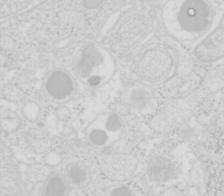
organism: Mouse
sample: Pancreas